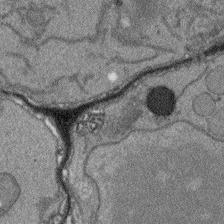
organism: Arabidopsis thaliana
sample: Root tip